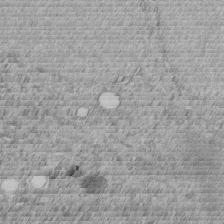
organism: C. elegans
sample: C. elegans embryo early stage